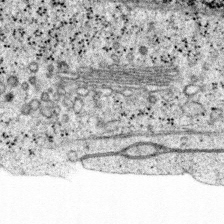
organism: Human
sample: HeLa cells